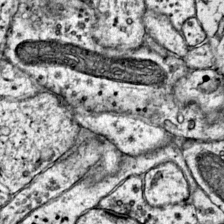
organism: Mouse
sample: Primary visual cortex